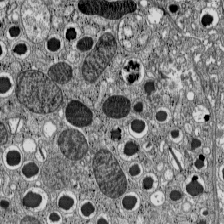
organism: C57BL Mouse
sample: Pancreatic islet